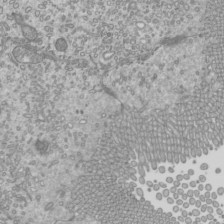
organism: Mouse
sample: Cilia; mouse epididymis